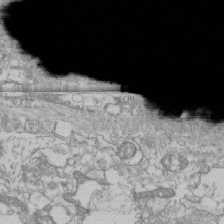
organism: Human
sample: CRL-1474